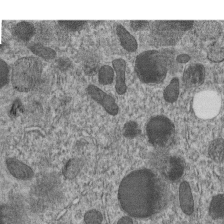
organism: C. elegans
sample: C. elegans embryo early stage